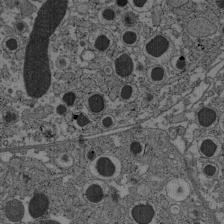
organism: C57BL Mouse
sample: Pancreatic islet